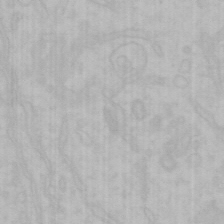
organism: Mouse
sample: Choroid plexus